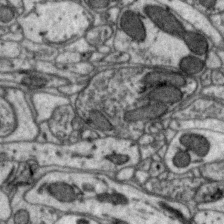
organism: Zebra finch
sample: Brain